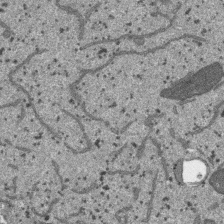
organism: Human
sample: Lung epithelial cells infected with SARS-CoV-2